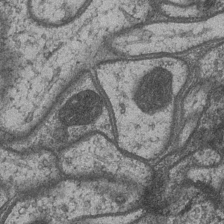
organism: Drosophila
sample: Optic medulla